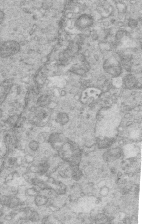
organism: Mouse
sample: Multiciliated cells